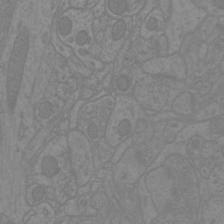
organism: Mouse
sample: Cortical neurons